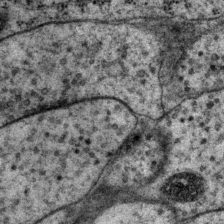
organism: P. pacificus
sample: Pharynx